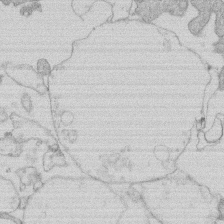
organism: Human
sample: Macrophage cells